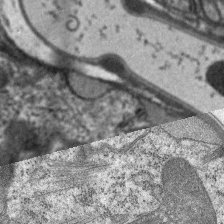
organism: C. elegans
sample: Pharynx